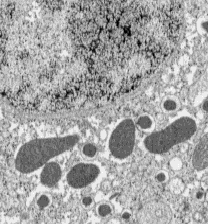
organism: C57BL Mouse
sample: Pancreatic islet